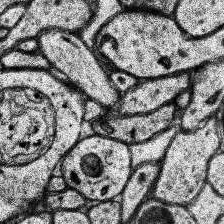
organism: Human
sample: Temporal Lobe